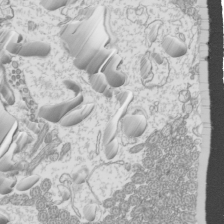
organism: Mouse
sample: Cilia; mouse epididymis